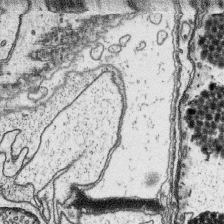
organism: Platynereis dumerilii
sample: Parapodia